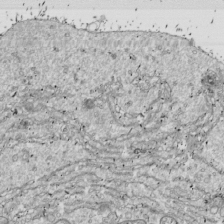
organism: Drosophila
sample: Cell division; meiosis; drosophila spermatocytes